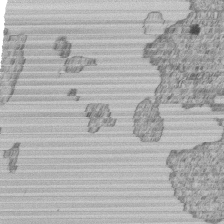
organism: Human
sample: MDA-MB-231 cells